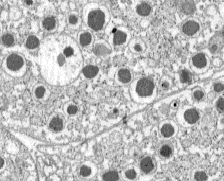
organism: C57BL Mouse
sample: Pancreatic islet